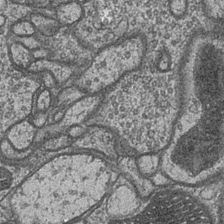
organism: Drosophila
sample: Optic medulla